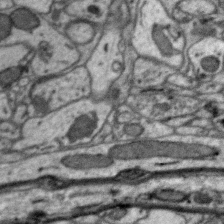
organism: Zebra finch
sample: Brain